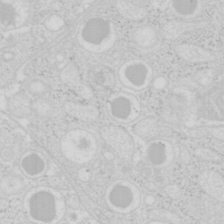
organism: Mouse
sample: Pancreas